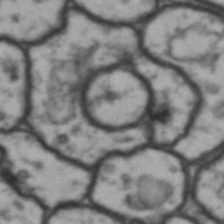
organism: Drosophila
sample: Brain